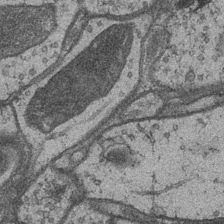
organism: Drosophila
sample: Optic medulla